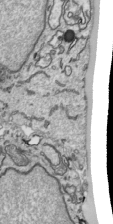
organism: Human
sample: Mitochondria in HCT116 cells